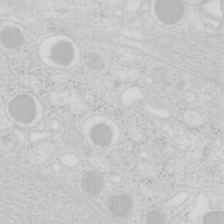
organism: Mouse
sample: Pancreas